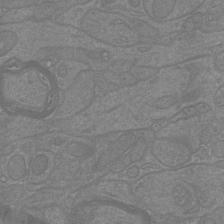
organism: Mouse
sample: Cortical neurons